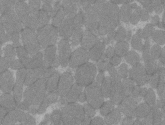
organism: C57BL Mouse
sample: Tibialis anterior muscle cell